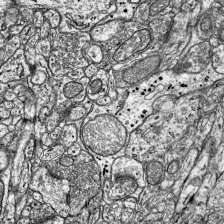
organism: Mouse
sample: Visual Cortex